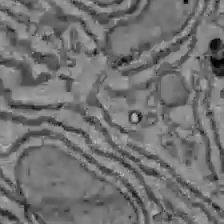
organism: C57BL Mouse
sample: Liver